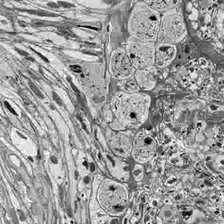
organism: Drosophila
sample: Optic lobe